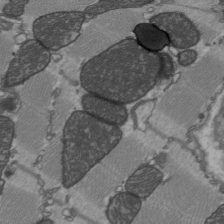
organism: C57BL Mouse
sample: Heart